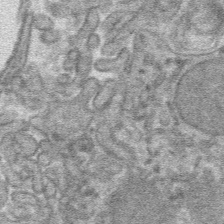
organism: Mouse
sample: Mouse hepatocytes